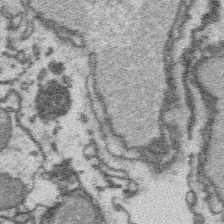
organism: Platynereis dumerilii